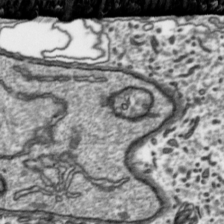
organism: Toxoplasma gondii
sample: Parasites in a vacuole inside a host cell